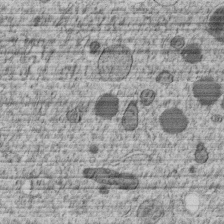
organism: C. elegans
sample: C. elegans embryo early stage